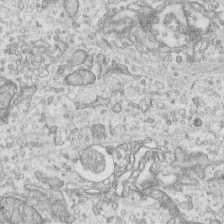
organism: Human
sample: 1205lu cells